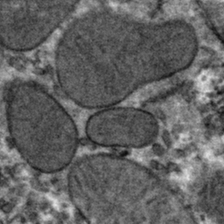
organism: Mouse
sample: Mouse hepatocytes